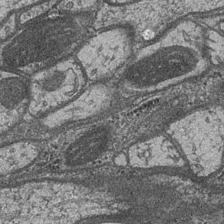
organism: Drosophila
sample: Optic medulla